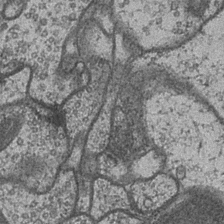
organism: Drosophila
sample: Optic medulla